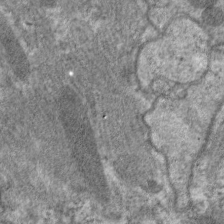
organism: C. elegans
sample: Pharynx